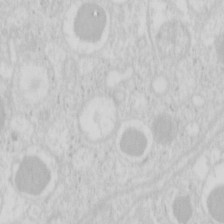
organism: Mouse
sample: Pancreas